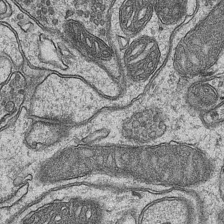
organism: Mouse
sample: CA1 Hippocampus